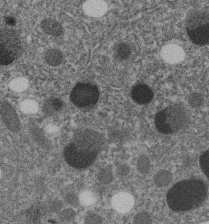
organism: C. elegans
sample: C. elegans embryo early stage